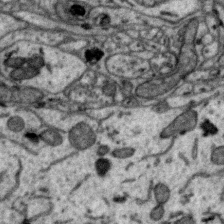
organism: Zebra finch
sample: Brain